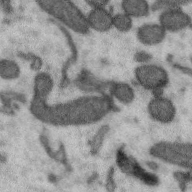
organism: Zebra finch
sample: Brain